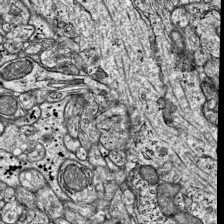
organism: Mouse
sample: Visual Cortex